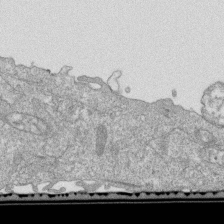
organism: Human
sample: HeLa cell HIV synapse